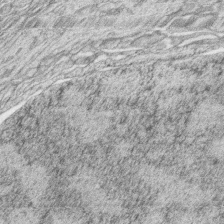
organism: Zebrafish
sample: synaptic ribbons in rod cells and cone cells